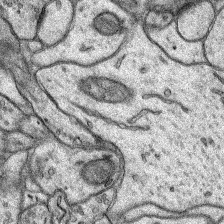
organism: Rat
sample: Hippocampus